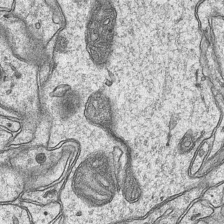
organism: Mouse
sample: CA1 Hippocampus